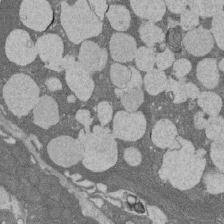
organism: Rat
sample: Salivary granule